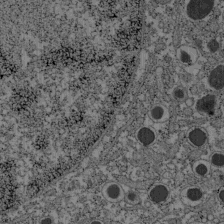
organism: C57BL Mouse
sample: Pancreatic islet